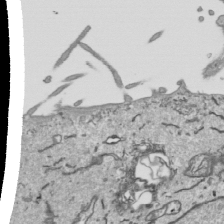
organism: Human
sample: Mitochondria in HCT116 cells